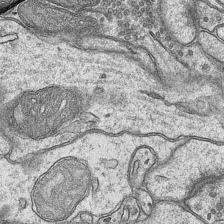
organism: Mouse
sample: CA1 Hippocampus